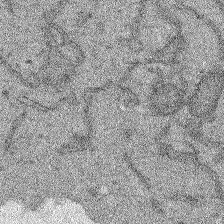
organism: Human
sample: HeLa cells